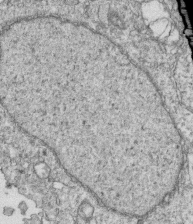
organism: Human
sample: HeLa cell HIV synapse